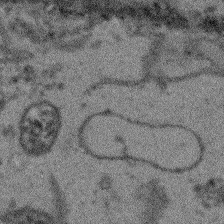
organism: Arabidopsis thaliana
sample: Root tip